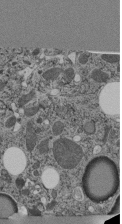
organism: C. elegans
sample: C. elegans pharynx